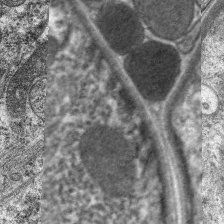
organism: C. elegans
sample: Pharynx